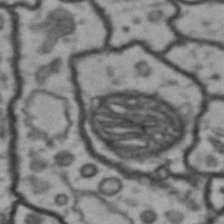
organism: Drosophila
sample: Brain